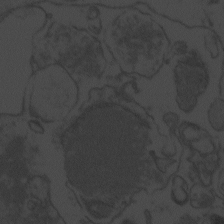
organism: Zebrafish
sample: Macrophage infected with Toxoplasma gondii